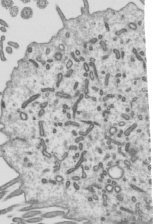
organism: Mouse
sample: Mouse epididymis efferent ductule cilia